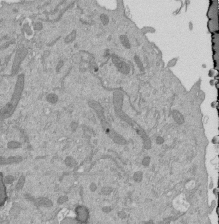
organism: Mouse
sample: ED-1 cell nuclei; centrioles